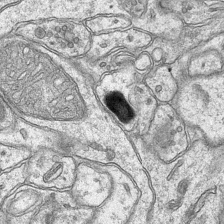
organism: Mouse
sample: CA1 Hippocampus